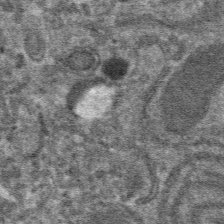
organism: Mouse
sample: Mouse hepatocytes